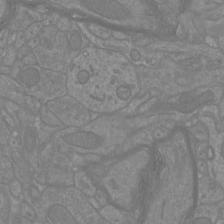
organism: Mouse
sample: Cortical neurons